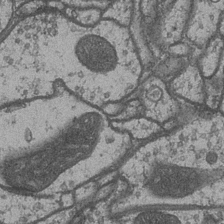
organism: Drosophila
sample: Optic medulla